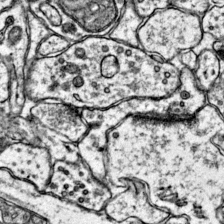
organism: Mouse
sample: Primary visual cortex